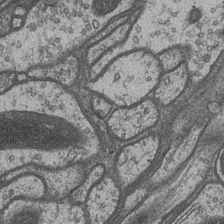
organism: Drosophila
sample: Optic medulla